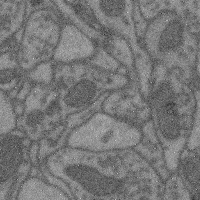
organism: Mouse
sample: Cerebral cortex